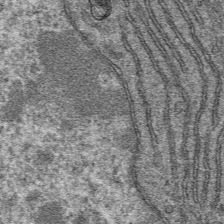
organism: Mouse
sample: Mouse hepatocytes